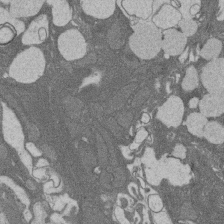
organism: Rat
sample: Salivary granule